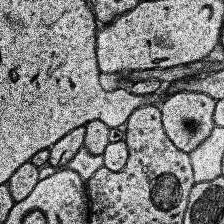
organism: Human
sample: Temporal Lobe